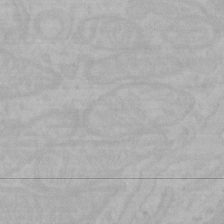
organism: Mouse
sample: Choroid plexus